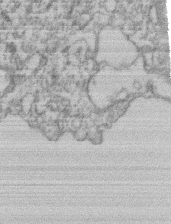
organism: Mouse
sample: T cell stromal cell synapse